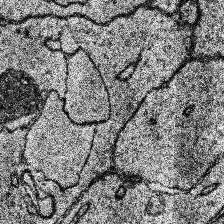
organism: Human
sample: Temporal Lobe